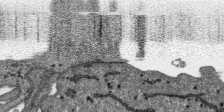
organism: Human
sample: Lung epithelial cells, uninfected (mock) control